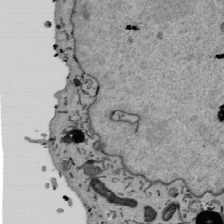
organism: Mouse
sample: ED-1 cell nuclei; centrioles